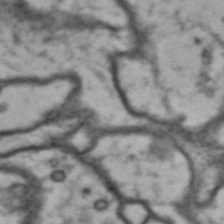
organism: Drosophila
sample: Brain